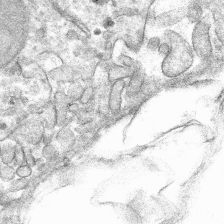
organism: Mouse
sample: Mouse hepatocytes